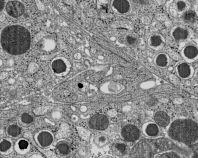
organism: C57BL Mouse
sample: Pancreatic islet